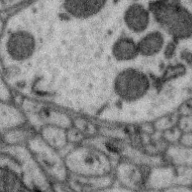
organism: Zebra finch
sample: Brain